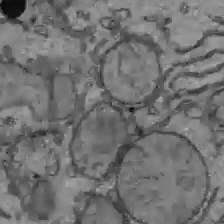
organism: C57BL Mouse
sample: Liver